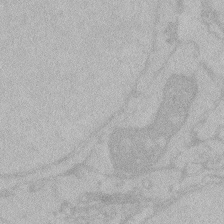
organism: Zebrafish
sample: Macrophage infected with Toxoplasma gondii